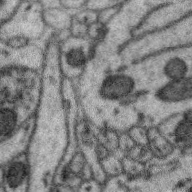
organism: Zebra finch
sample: Brain